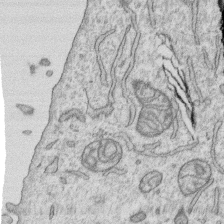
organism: Human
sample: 1205lu cells